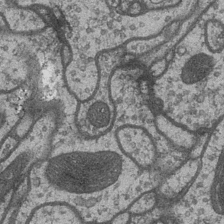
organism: Drosophila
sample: Optic medulla